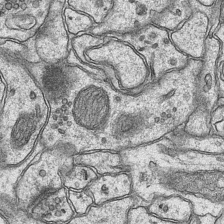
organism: Mouse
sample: CA1 Hippocampus